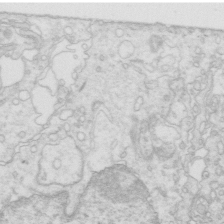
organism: Mouse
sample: Multiciliated cells